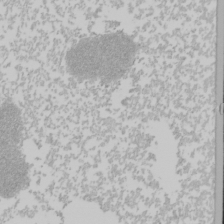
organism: Mouse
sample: Cancer cell death in ED-1 cells